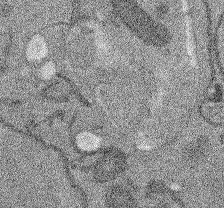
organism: Human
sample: HeLa cells